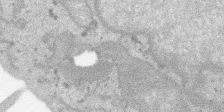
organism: Human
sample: Lung epithelial cells infected with SARS-CoV-2